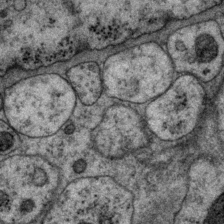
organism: P. pacificus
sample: Pharynx